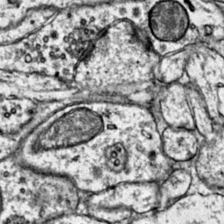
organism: Mouse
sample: Primary visual cortex